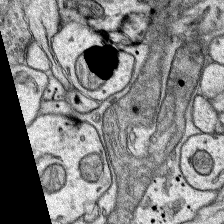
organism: Rat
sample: Hippocampus